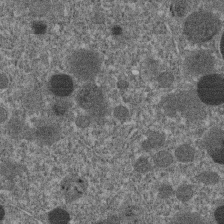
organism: C. elegans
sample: C. elegans embryo early stage